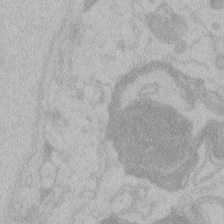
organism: Zebrafish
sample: Macrophage infected with Toxoplasma gondii